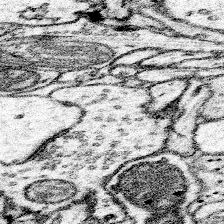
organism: Mouse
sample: Somatosensory cortex neuropil